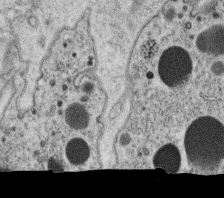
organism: C. elegans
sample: C. elegans oocyte; sperm cells